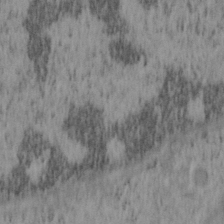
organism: Mouse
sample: OT-I killer T cells with ID8 ovarian cancer cells